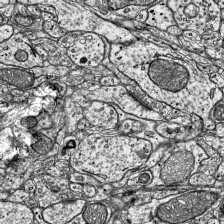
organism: Mouse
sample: Visual Cortex